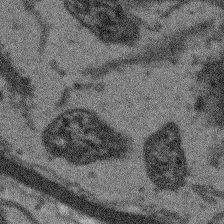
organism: Arabidopsis thaliana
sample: Root tip